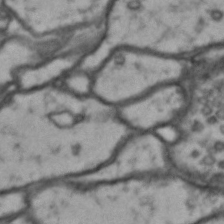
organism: Drosophila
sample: Brain